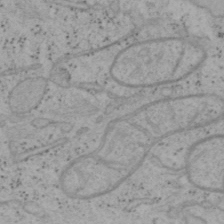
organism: Human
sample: HeLa cells